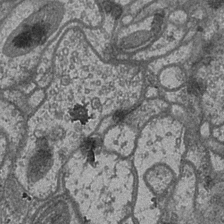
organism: Drosophila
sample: Optic medulla